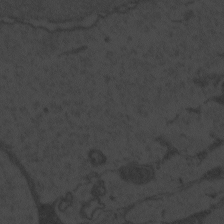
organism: Zebrafish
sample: Macrophage infected with Toxoplasma gondii